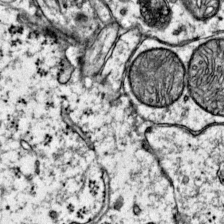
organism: Mouse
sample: Primary visual cortex